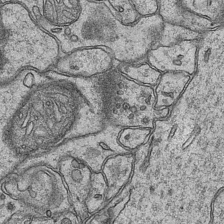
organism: Mouse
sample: CA1 Hippocampus